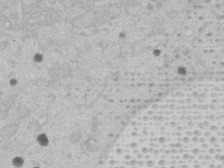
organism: Human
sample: Mitochondria in U2OS cells